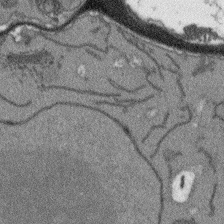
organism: Arabidopsis thaliana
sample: Root tip